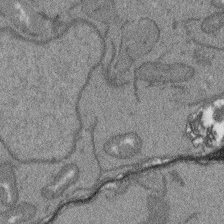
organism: Arabidopsis thaliana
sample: Root tip